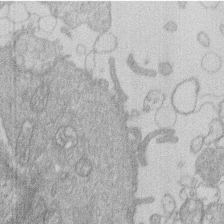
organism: Human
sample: Macrophage cells